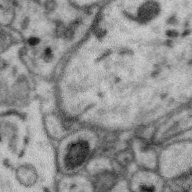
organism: Zebra finch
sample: Brain